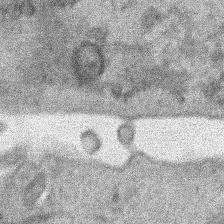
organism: Human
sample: Mitochondria in HCT116 cells